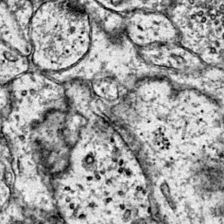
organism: Mouse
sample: Primary visual cortex